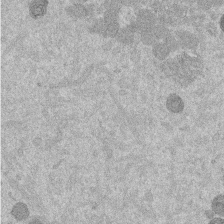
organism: Mouse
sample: Dividing mouse embryo 1 cell stage